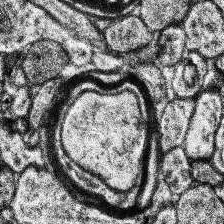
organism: Human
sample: Temporal Lobe